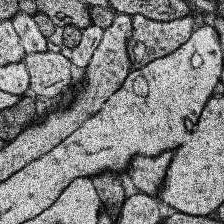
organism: Human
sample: Temporal Lobe